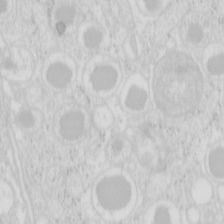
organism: Mouse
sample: Pancreas